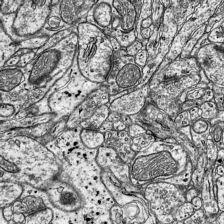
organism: Mouse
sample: Visual Cortex